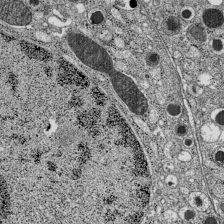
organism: C57BL Mouse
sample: Pancreatic islet